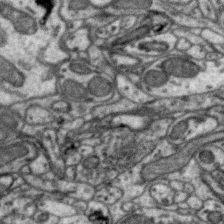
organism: Zebra finch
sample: Brain